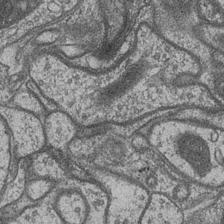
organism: Drosophila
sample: Optic medulla